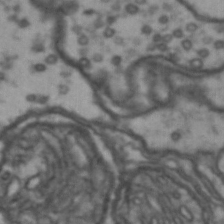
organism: Drosophila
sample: Brain